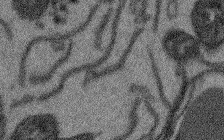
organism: Arabidopsis thaliana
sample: Root tip